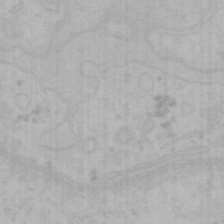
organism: Mouse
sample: Choroid plexus